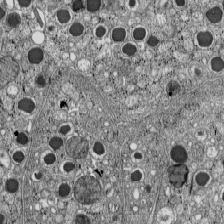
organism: C57BL Mouse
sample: Pancreatic islet